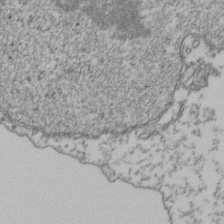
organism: Human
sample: Activated Jurkat CD4+ T cells